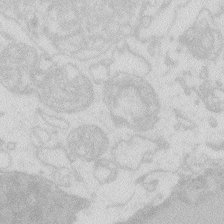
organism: Zebrafish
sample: Macrophage